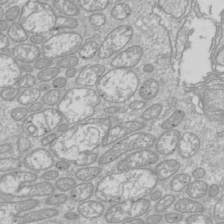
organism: Drosophila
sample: Cell division; meiosis; drosophila spermatocytes